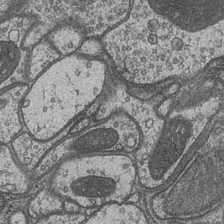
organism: Drosophila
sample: Optic medulla